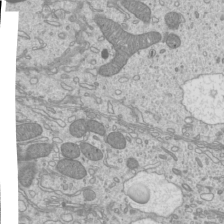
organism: Mouse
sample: Cilia; mouse epididymis